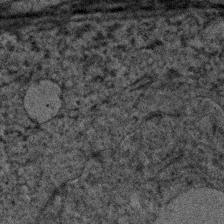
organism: Human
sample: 1205lu cells